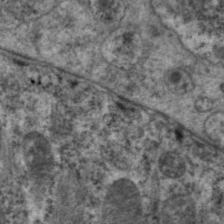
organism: C. elegans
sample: Pharynx